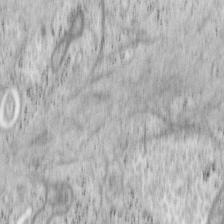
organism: Human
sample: HeLa cells